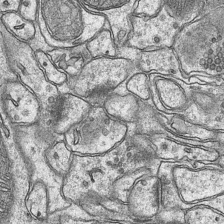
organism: Mouse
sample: CA1 Hippocampus